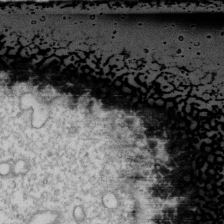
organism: Human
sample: Activated Jurkat CD4+ T cells